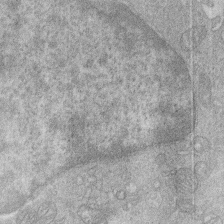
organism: Human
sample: Macrophage cells